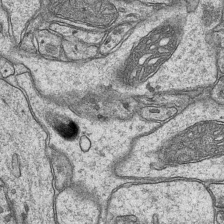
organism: Mouse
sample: CA1 Hippocampus